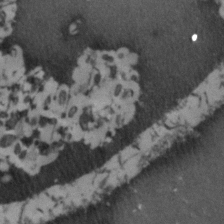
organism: Zebrafish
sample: Zebrafish embryo